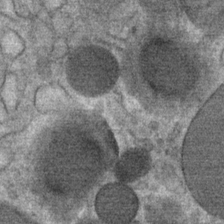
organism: Mouse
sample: Mouse Salivary gland